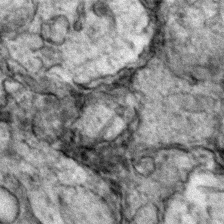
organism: Zebrafish